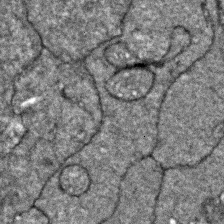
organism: Zebrafish